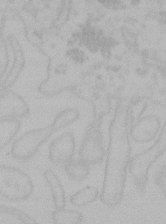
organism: Mouse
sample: Choroid plexus